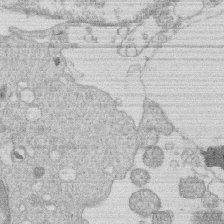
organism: Human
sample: Macrophage cells